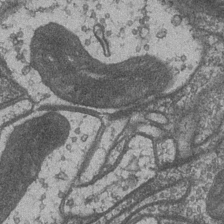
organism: Drosophila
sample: Optic medulla